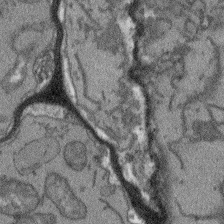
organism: Arabidopsis thaliana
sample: Root tip